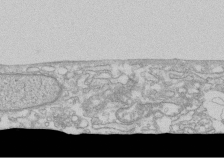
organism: Human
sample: CRL-1474